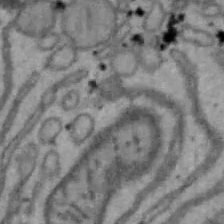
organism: Mouse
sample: Liver